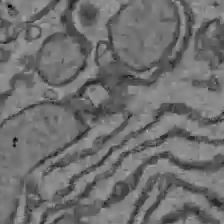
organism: C57BL Mouse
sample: Liver